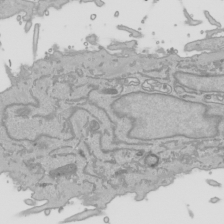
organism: Human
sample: Mitochondria in HCT116 cells